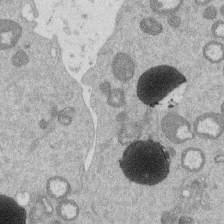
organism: Mouse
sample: Dividing mouse embryo 1 cell stage